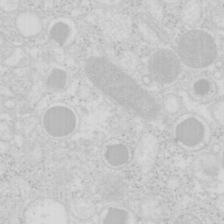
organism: Mouse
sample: Pancreas